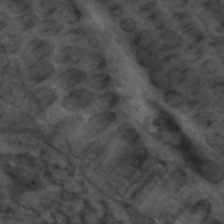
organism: C. elegans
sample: C. elegans embryo